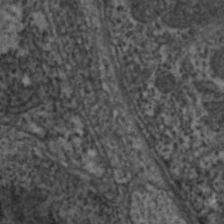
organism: C. elegans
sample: Pharynx